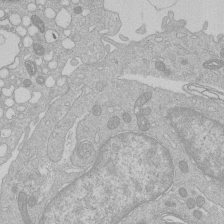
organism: Human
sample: Macrophage cells